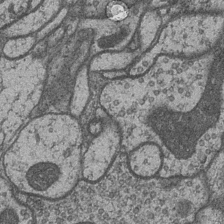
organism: Drosophila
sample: Optic medulla